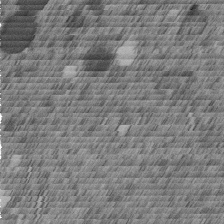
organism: C. elegans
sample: C. elegans embryo early stage